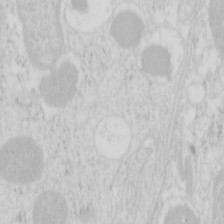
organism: Mouse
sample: Pancreas